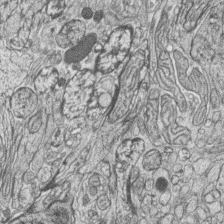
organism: Zebrafish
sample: synaptic ribbons in rod cells and cone cells